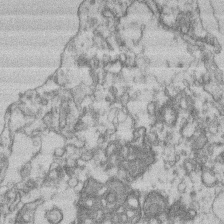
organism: Mouse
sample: T cell stromal cell synapse